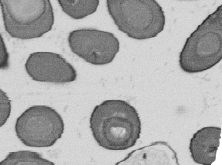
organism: B. subtilis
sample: Bacterial spore